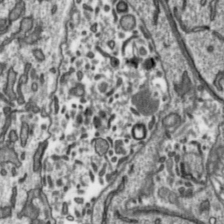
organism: Toxoplasma gondii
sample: Parasites in a vacuole inside a host cell